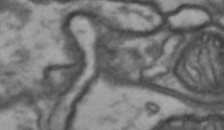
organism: Drosophila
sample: Brain